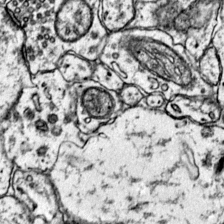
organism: Mouse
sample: Primary visual cortex